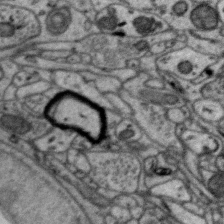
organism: Zebra finch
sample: Brain